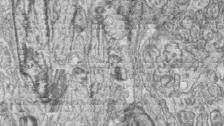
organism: Zebrafish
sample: synaptic ribbons in rod cells and cone cells